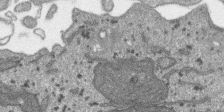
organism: Human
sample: Lung epithelial cells infected with SARS-CoV-2